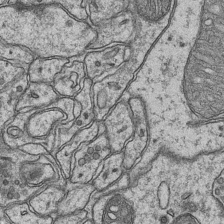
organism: Mouse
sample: CA1 Hippocampus